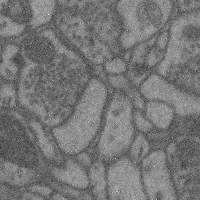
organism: Mouse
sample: Cerebral cortex